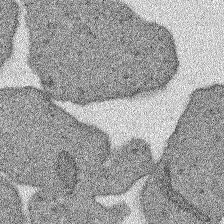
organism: Human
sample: HeLa cells